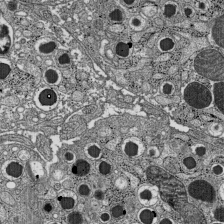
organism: C57BL Mouse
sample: Pancreatic islet